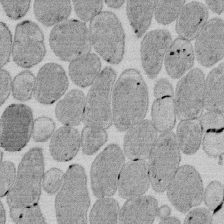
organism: E. coli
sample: Bacterial nucleoid